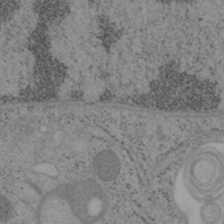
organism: Mouse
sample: OT-I killer T cells with ID8 ovarian cancer cells